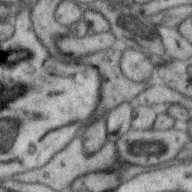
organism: Zebra finch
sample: Brain